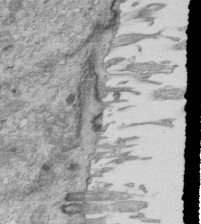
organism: Mouse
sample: Multiciliated cells